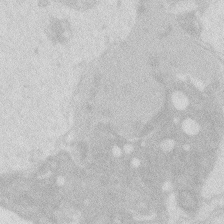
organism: Zebrafish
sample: Macrophage